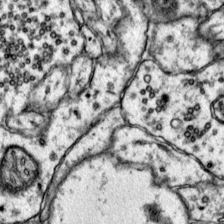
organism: Mouse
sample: Primary visual cortex